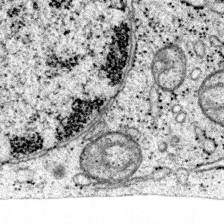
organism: Human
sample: HeLa cells